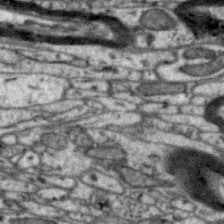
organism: Zebra finch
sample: Brain